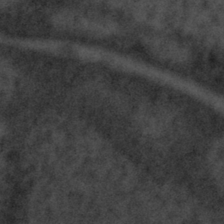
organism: Tuwongella immobilis